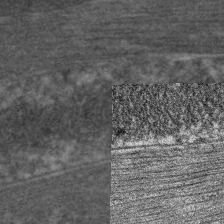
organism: C. elegans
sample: Pharynx